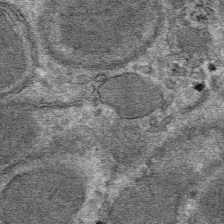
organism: Mouse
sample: Mouse hepatocytes